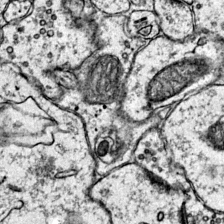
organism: Mouse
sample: Primary visual cortex